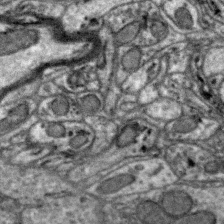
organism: Zebra finch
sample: Brain